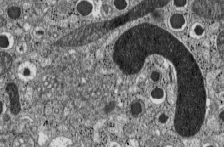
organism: C57BL Mouse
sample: Pancreatic islet